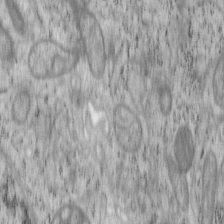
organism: Human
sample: HeLa cells